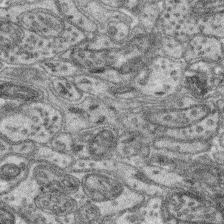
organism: Mouse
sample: Retina